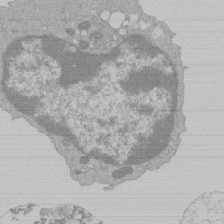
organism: Mouse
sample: Activated Pmel transgenic CD8+ T Cells